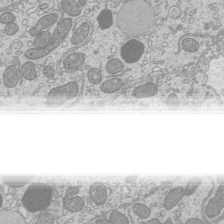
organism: Mouse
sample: Cilia; mouse epididymis